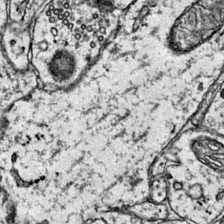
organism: Mouse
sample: Primary visual cortex